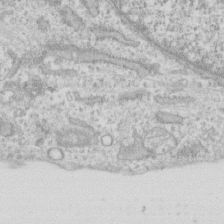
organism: Human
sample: Fibroblast cells